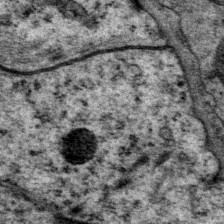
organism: P. pacificus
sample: Pharynx